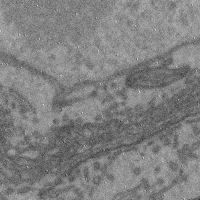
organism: Mouse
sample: Cerebral cortex